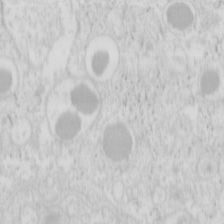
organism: Mouse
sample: Pancreas